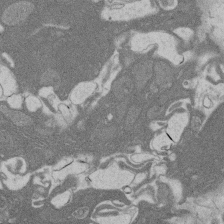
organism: Rat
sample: Salivary granule